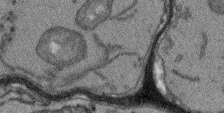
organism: Arabidopsis thaliana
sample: Root tip